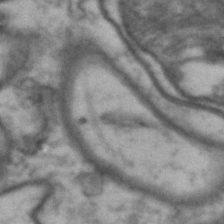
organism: Drosophila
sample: Brain